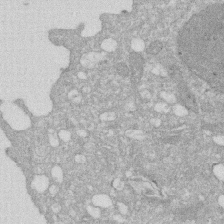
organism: Human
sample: HIV infected U937 cells